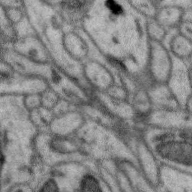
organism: Zebra finch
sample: Brain